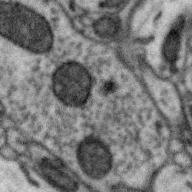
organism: Zebra finch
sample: Brain